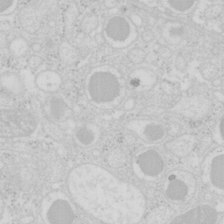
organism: Mouse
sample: Pancreas